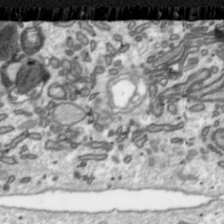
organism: Toxoplasma gondii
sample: Parasites in a vacuole inside a host cell